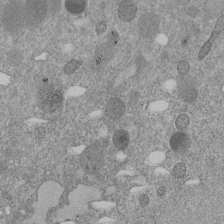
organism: C. elegans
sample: C. elegans embryo early stage